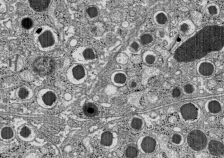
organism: C57BL Mouse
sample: Pancreatic islet